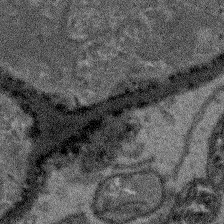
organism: Arabidopsis thaliana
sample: Root tip